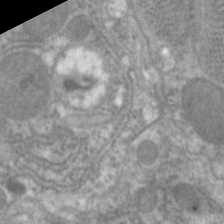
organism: C. elegans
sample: Pharynx